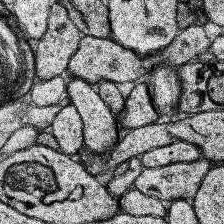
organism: Human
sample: Temporal Lobe